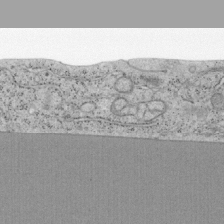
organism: Human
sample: HeLa cells